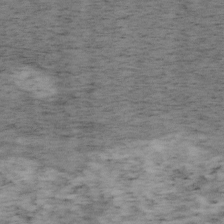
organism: Mouse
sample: OT-I killer T cells with ID8 ovarian cancer cells